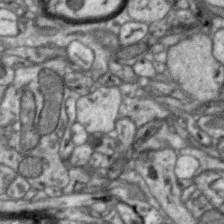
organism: Zebra finch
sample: Brain